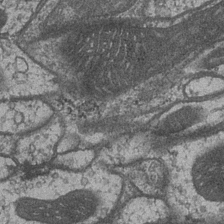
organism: Drosophila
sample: Optic medulla